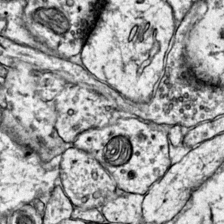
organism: Mouse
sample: Primary visual cortex